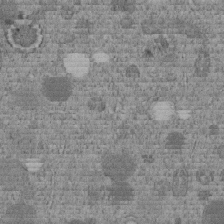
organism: C. elegans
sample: C. elegans embryo early stage